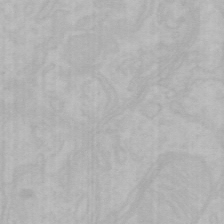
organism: Mouse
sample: Choroid plexus